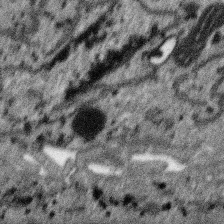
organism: Human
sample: Lung epithelial cells infected with SARS-CoV-2